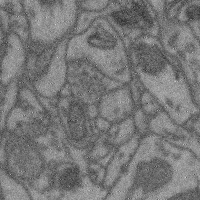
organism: Mouse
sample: Cerebral cortex